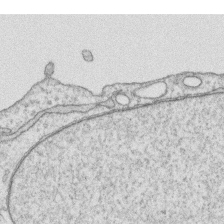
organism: Human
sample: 1205lu cells